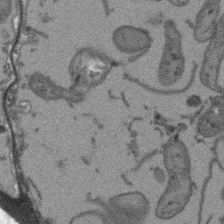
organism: Arabidopsis thaliana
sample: Root tip